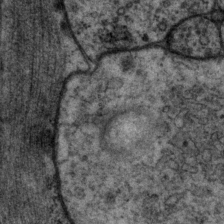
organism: P. pacificus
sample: Pharynx